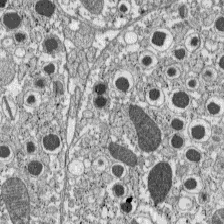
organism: C57BL Mouse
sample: Pancreatic islet